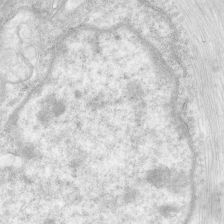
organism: Human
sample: Neocortex